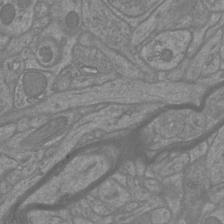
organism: Mouse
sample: Cortical neurons